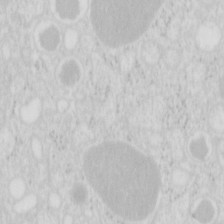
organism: Mouse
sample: Pancreas